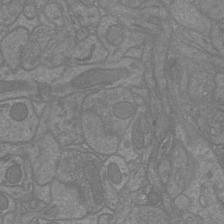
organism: Mouse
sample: Cortical neurons